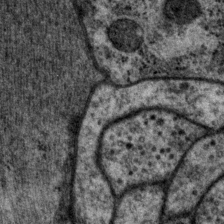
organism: P. pacificus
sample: Pharynx